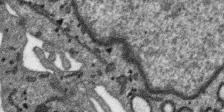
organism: Human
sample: Lung epithelial cells infected with SARS-CoV-2